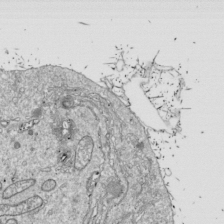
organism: Drosophila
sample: Cell division; meiosis; drosophila spermatocytes